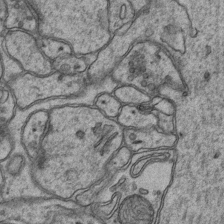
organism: Mouse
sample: CA1 Hippocampus